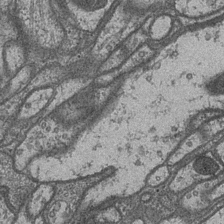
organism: Drosophila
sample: Optic medulla